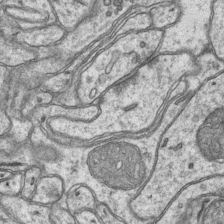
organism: Mouse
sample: CA1 Hippocampus